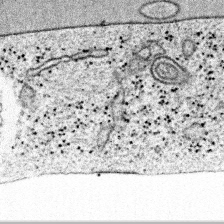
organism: Human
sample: HeLa cells